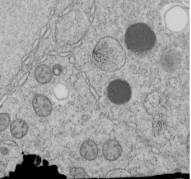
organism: C. elegans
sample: C. elegans embryo early stage